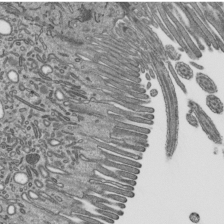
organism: Mouse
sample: Mouse epididymis efferent ductule cilia